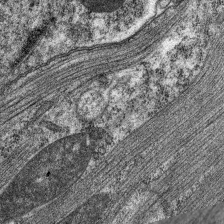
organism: C. elegans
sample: Pharynx